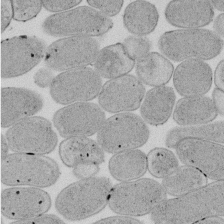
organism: E. coli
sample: Bacterial nucleoid